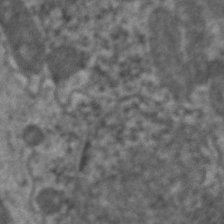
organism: C. elegans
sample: Pharynx